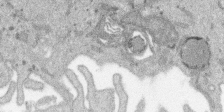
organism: Human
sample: Lung epithelial cells infected with SARS-CoV-2